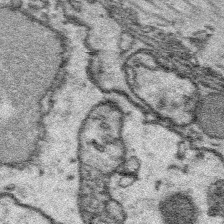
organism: Platynereis dumerilii